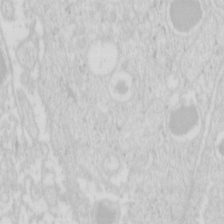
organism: Mouse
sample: Pancreas